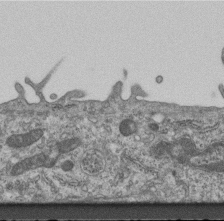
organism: Mouse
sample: Centriole in ependymal cells